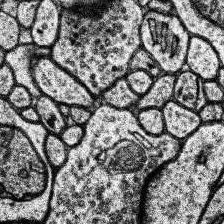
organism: Human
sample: Temporal Lobe